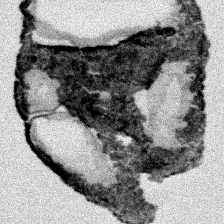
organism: Human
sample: Mitochondria in HCT116 cells